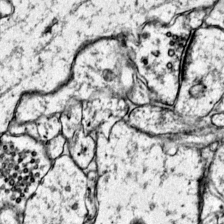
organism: Mouse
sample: Primary visual cortex